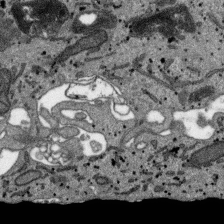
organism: Human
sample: Lung epithelial cells, uninfected (mock) control